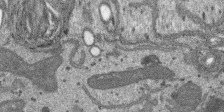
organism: Human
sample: Lung epithelial cells infected with SARS-CoV-2